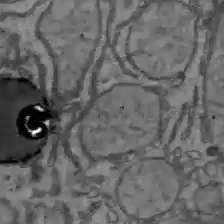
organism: C57BL Mouse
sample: Liver